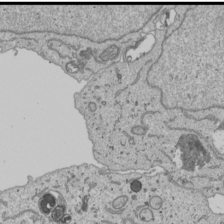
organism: Human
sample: Mitochondria in U2OS cells